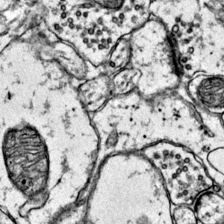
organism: Mouse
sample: Primary visual cortex